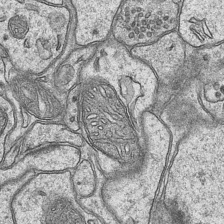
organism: Mouse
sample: CA1 Hippocampus